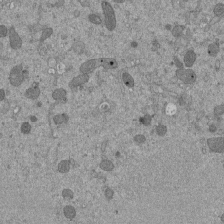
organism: Mouse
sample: ED-1 cell nuclei; centrioles